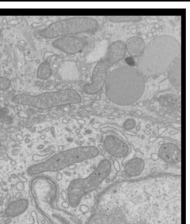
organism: Mouse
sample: Cilia; mouse epididymis